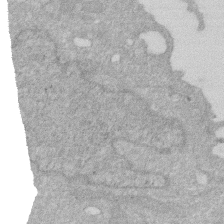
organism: Human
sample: HIV infected U937 cells